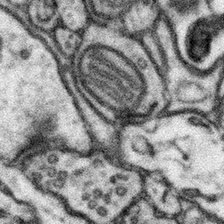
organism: Mouse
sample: Somatosensory cortex neuropil